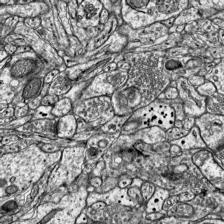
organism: Mouse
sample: Visual Cortex